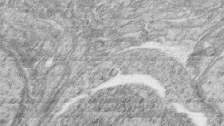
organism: Zebrafish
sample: synaptic ribbons in rod cells and cone cells